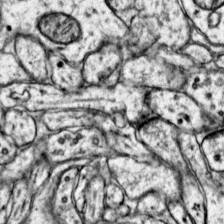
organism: Mouse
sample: Primary visual cortex